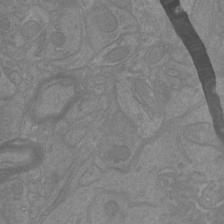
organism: Mouse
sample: Cortical neurons